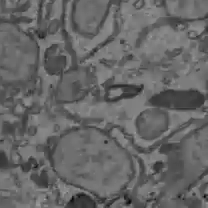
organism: C57BL Mouse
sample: Liver